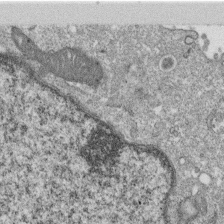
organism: African green monkey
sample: Vero E6 cells infected with SARS-CoV-2